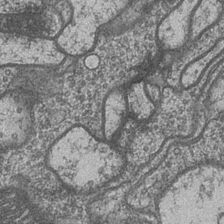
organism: Drosophila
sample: Optic medulla